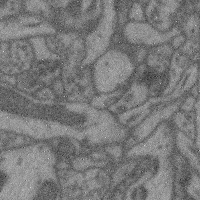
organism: Mouse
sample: Cerebral cortex